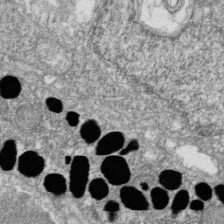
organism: Zebrafish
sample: Cilia; retinal pigment epithelium